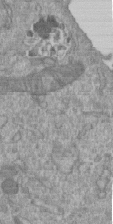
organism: Mouse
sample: ED-1 cell nuclei; centrioles